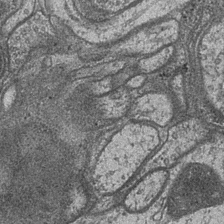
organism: Drosophila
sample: Optic medulla